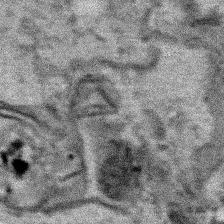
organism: Human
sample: Mitochondria in HCT116 cells